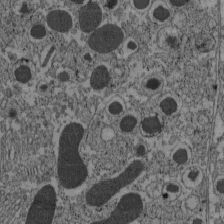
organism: C57BL Mouse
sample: Pancreatic islet